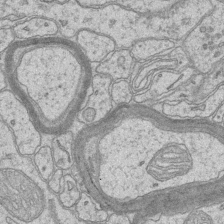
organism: Mouse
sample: CA1 Hippocampus